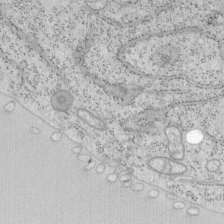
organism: Mouse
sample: OT-I killer T cells with ID8 ovarian cancer cells